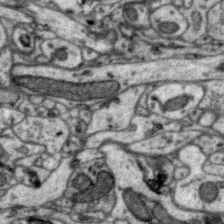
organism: Zebra finch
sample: Brain